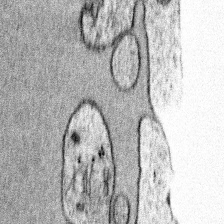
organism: Human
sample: HeLa cells